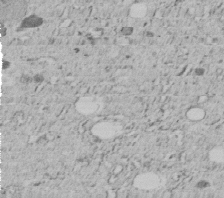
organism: C. elegans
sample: C. elegans embryo early stage